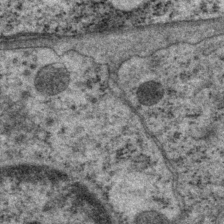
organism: P. pacificus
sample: Pharynx